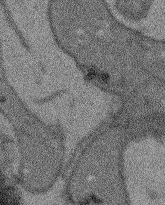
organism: Arabidopsis thaliana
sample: Root tip